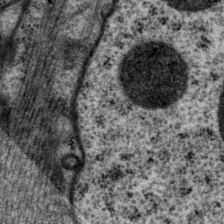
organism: P. pacificus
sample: Pharynx